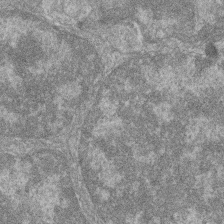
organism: Zebrafish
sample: Cilia; retinal pigment epithelium